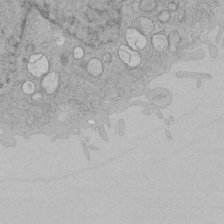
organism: Human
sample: Mitochondria in HCT116 cells